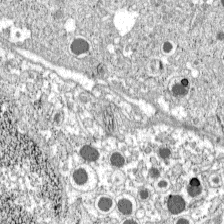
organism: C57BL Mouse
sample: Pancreatic islet